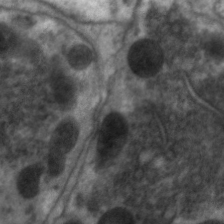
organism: C. elegans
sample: Pharynx